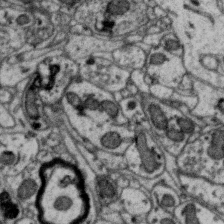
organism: Zebra finch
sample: Brain